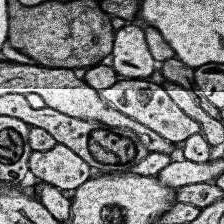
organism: Human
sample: Temporal Lobe